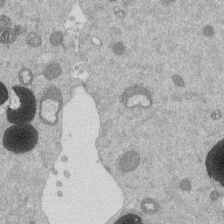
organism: Mouse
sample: Dividing mouse embryo 1 cell stage